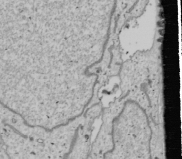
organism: Human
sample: Mitochondria in U2OS cells